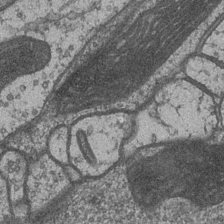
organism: Drosophila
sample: Optic medulla